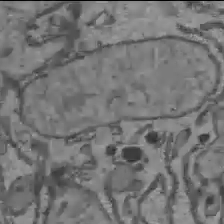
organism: C57BL Mouse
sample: Liver